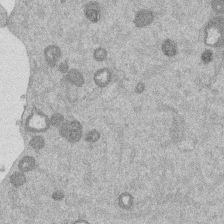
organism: Mouse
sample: Dividing mouse embryo 1 cell stage